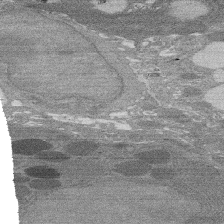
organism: Rat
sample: Salivary granule